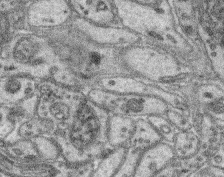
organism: Mouse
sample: Retina